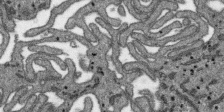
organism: Human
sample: Lung epithelial cells, uninfected (mock) control